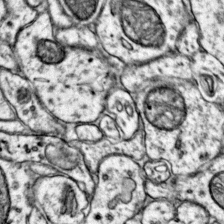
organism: Mouse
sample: Primary visual cortex